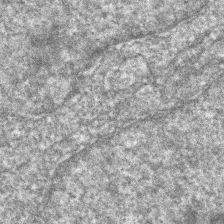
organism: Zebrafish